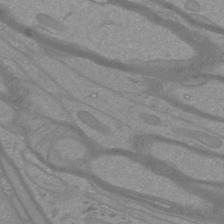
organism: Mouse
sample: Cortical neurons